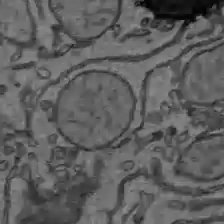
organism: C57BL Mouse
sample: Liver